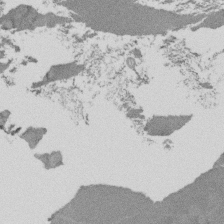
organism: Tetrahymena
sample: Cilia in tetrahymena